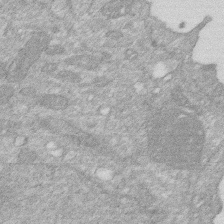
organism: Human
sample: HIV infected U937 cells